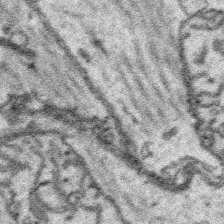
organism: Platynereis dumerilii